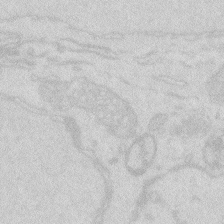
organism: Zebrafish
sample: Macrophage